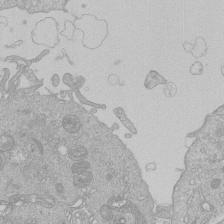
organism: Human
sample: Macrophage cells